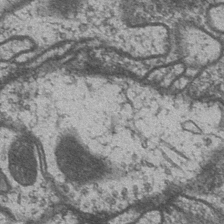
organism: Drosophila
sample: Optic medulla